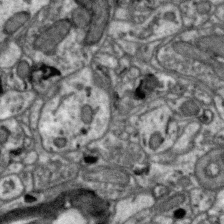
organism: Zebra finch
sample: Brain